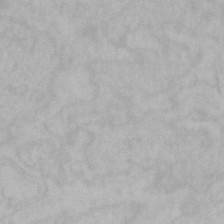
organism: Mouse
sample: Choroid plexus